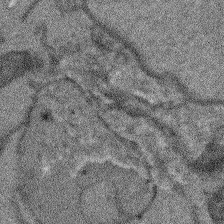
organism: Arabidopsis thaliana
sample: Root tip